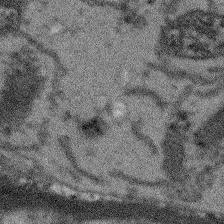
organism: Arabidopsis thaliana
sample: Root tip